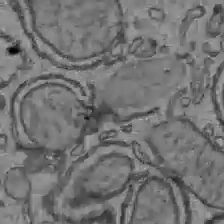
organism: C57BL Mouse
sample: Liver